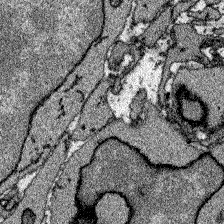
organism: Zebrafish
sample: Larval olfactory bulb